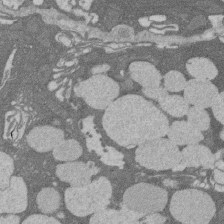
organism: Rat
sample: Salivary granule